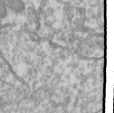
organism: Drosophila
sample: Cell division; meiosis; drosophila spermatocytes